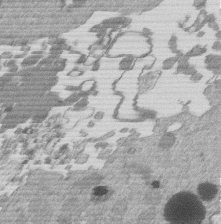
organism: Mouse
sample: Dividing mouse embryo 1 cell stage